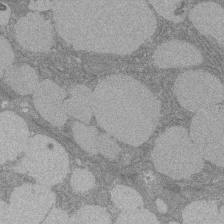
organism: Rat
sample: Salivary granule